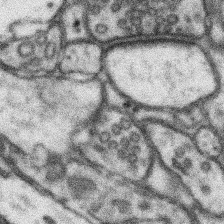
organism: Mouse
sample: Somatosensory cortex neuropil